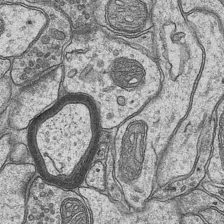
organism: Mouse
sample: CA1 Hippocampus